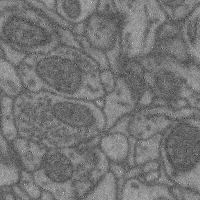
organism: Mouse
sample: Cerebral cortex